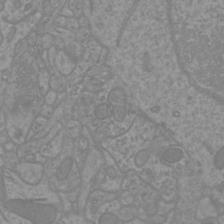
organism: Mouse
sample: Cortical neurons